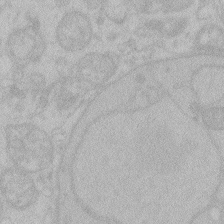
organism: Zebrafish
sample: Macrophage infected with Toxoplasma gondii